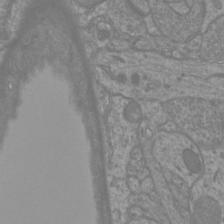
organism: Mouse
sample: Cortical neurons